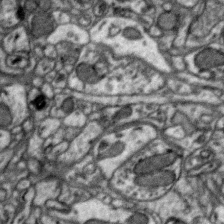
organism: Zebra finch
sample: Brain